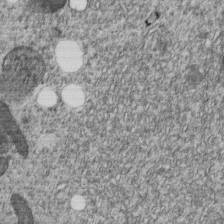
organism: C. elegans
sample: C. elegans embryo early stage